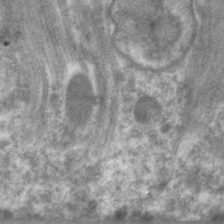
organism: C. elegans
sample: Pharynx